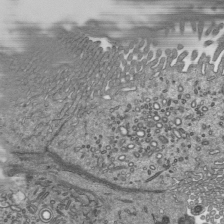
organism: Mouse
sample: Mouse epididymis efferent ductule cilia